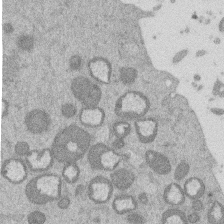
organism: Mouse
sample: Dividing mouse embryo 1 cell stage